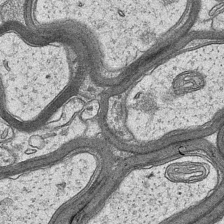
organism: Mouse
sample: CA1 Hippocampus